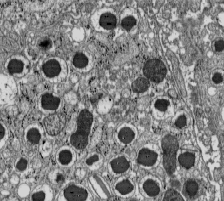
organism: C57BL Mouse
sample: Pancreatic islet